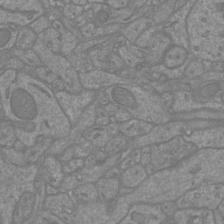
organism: Mouse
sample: Cortical neurons